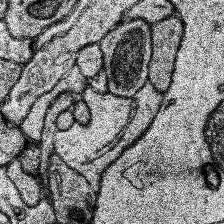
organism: Human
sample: Temporal Lobe